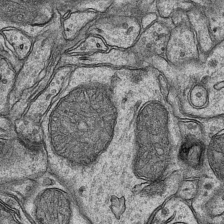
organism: Mouse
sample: CA1 Hippocampus